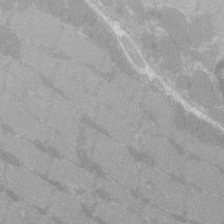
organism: C57BL Mouse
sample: Tibialis anterior muscle cell